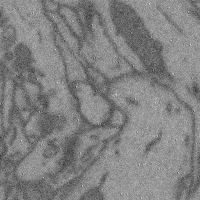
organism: Mouse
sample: Cerebral cortex